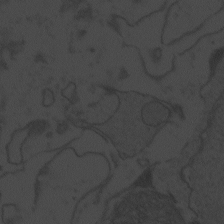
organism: Zebrafish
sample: Macrophage infected with Toxoplasma gondii